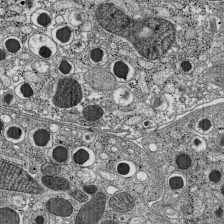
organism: C57BL Mouse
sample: Pancreatic islet